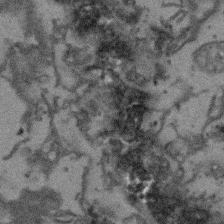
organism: Arabidopsis thaliana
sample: Root tip